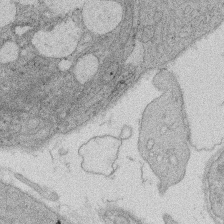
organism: Rat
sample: Salivary granule